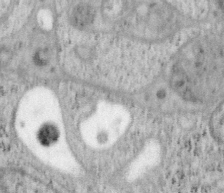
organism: Mouse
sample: OT-I killer T cells with ID8 ovarian cancer cells